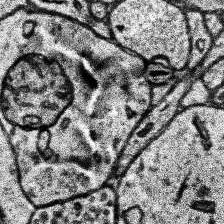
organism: Human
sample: Temporal Lobe